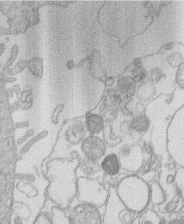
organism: Human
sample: Macrophage cells